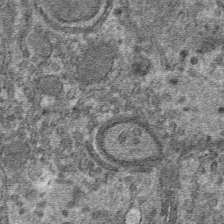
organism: Mouse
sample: Mouse hepatocytes